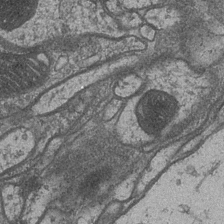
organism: Drosophila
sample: Optic medulla